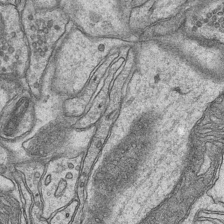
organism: Mouse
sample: CA1 Hippocampus